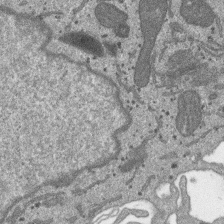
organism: Human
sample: Lung epithelial cells infected with SARS-CoV-2